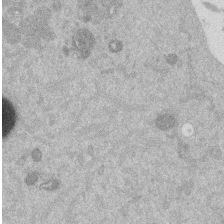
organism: Mouse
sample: Dividing mouse embryo 1 cell stage